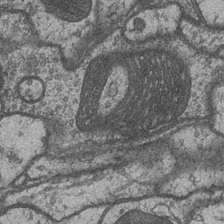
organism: Drosophila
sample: Optic medulla